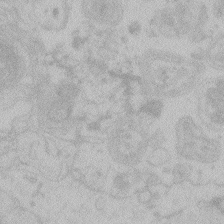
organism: Zebrafish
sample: Macrophage infected with Toxoplasma gondii